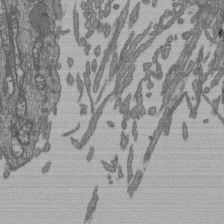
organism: Human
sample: Retinal organoid Rod and Cone cells